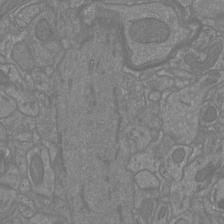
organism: Mouse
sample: Cortical neurons